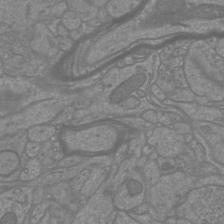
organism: Mouse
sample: Cortical neurons